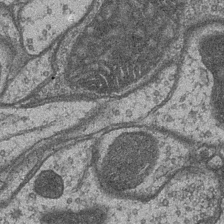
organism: Drosophila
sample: Optic medulla